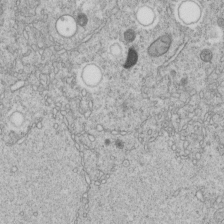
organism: C. elegans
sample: C. elegans embryo early stage